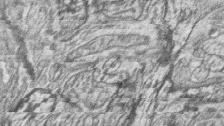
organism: Zebrafish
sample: synaptic ribbons in rod cells and cone cells